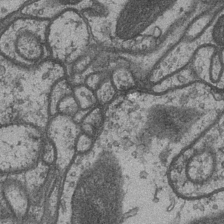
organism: Drosophila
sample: Optic medulla